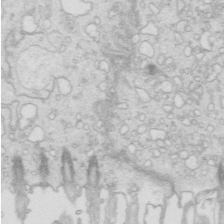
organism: Mouse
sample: Multiciliated cells